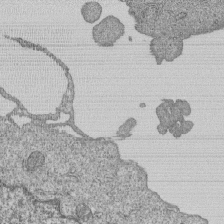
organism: Human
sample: MDA-MB-231 cells